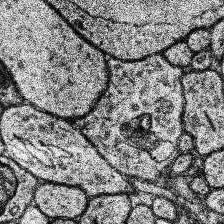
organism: Human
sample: Temporal Lobe